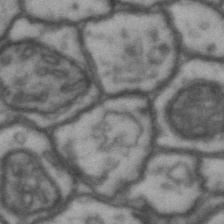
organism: Drosophila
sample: Brain